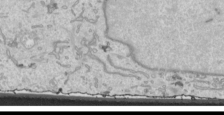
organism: Human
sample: Mitochondria in HCT116 cells